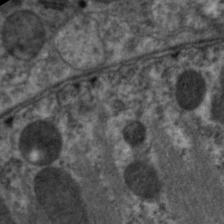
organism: C. elegans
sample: Pharynx